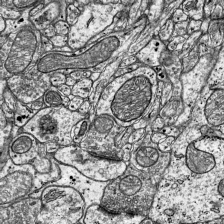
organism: Mouse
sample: Visual Cortex